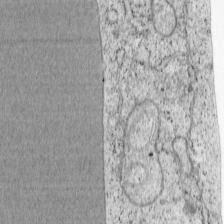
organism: African green monkey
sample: COS-7 cells